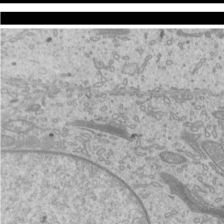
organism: Mouse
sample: Cilia; mouse epididymis